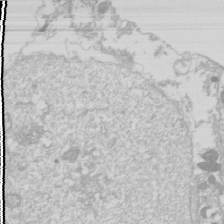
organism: Drosophila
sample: Cell division; meiosis; drosophila spermatocytes